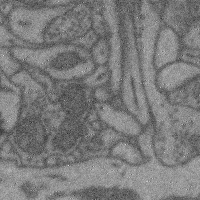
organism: Mouse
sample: Cerebral cortex